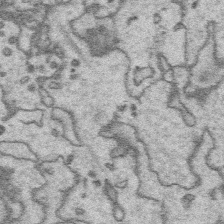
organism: Platynereis dumerilii